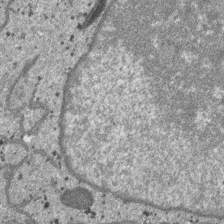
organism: Human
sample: Lung epithelial cells infected with SARS-CoV-2